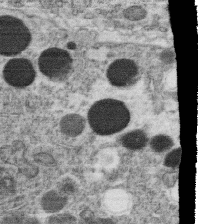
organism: C. elegans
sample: C. elegans oocyte; sperm cells